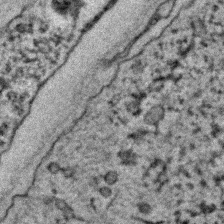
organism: C. elegans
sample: C. elegans embryo